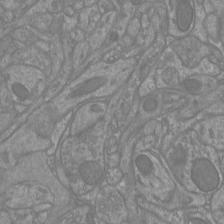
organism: Mouse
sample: Cortical neurons